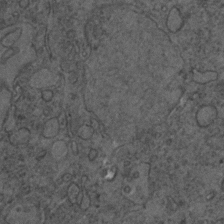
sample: Trachea